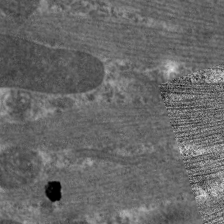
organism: C. elegans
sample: Pharynx